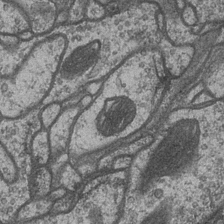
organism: Drosophila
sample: Optic medulla